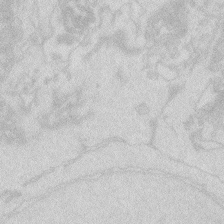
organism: Zebrafish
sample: Macrophage